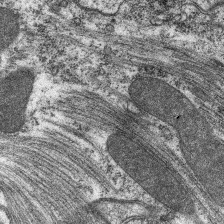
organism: C. elegans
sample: Pharynx